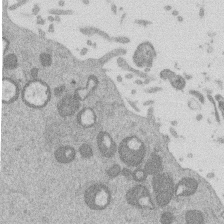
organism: Mouse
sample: Dividing mouse embryo 1 cell stage